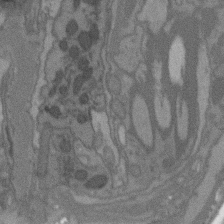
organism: C. elegans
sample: AFD neurons C. elegans